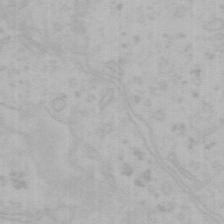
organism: Mouse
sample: Choroid plexus